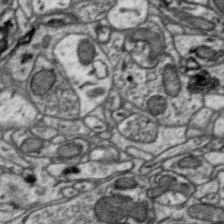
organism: Zebra finch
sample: Brain